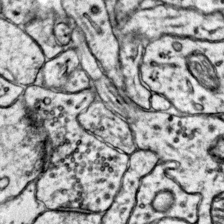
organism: Mouse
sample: Primary visual cortex